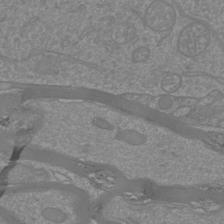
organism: Mouse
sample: Cortical neurons